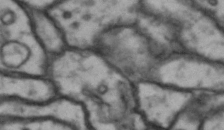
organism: Drosophila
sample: Brain